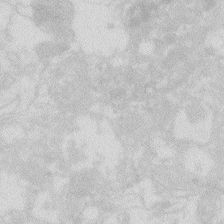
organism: Zebrafish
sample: Macrophage